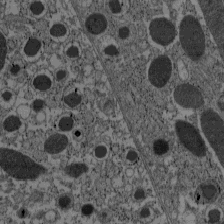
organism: C57BL Mouse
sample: Pancreatic islet